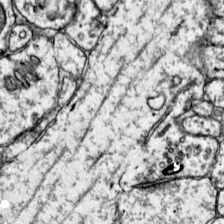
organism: Mouse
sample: Primary visual cortex